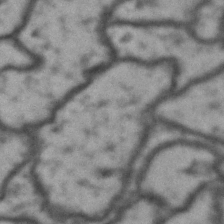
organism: Drosophila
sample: Brain